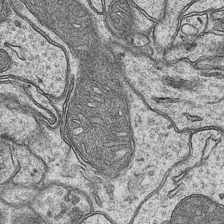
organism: Mouse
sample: CA1 Hippocampus